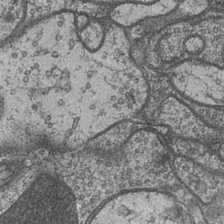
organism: Drosophila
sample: Optic medulla